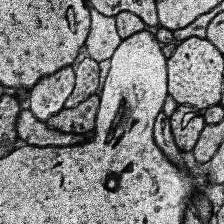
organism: Human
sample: Temporal Lobe